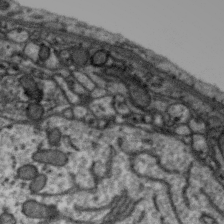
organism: Zebra finch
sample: Brain